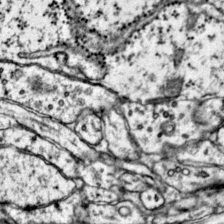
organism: Mouse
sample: Primary visual cortex